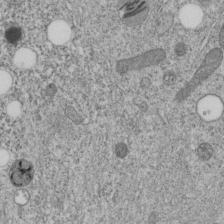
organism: C. elegans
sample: C. elegans embryo early stage